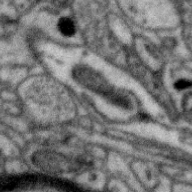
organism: Zebra finch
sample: Brain